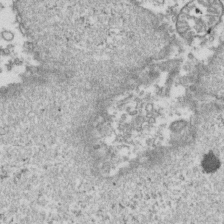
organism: Human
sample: Activated Jurkat CD4+ T cells